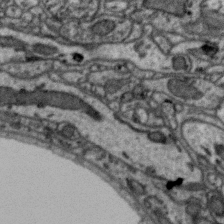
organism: Zebra finch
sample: Brain